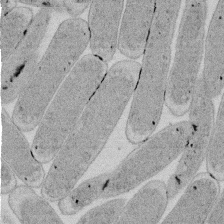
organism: E. coli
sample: Bacterial nucleoid